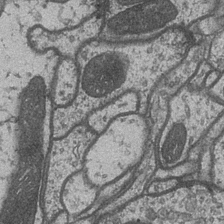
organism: Drosophila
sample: Optic medulla